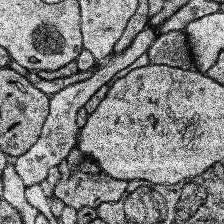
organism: Human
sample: Temporal Lobe